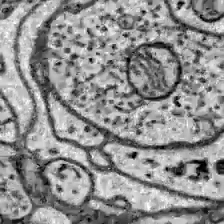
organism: Zebrafish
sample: Brain